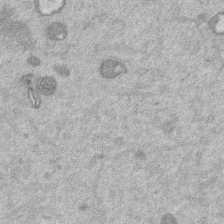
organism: Mouse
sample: Dividing mouse embryo 1 cell stage